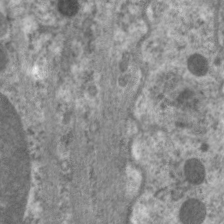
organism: C. elegans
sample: Pharynx